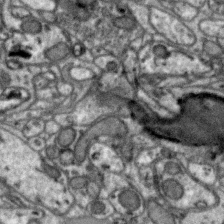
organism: Zebra finch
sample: Brain